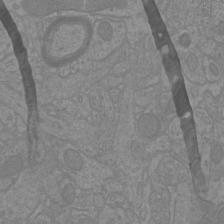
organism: Mouse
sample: Cortical neurons